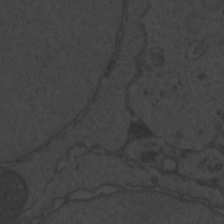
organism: Zebrafish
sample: Macrophage infected with Toxoplasma gondii